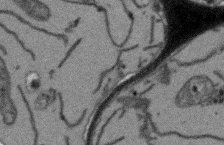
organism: Arabidopsis thaliana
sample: Root tip